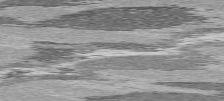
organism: C57BL Mouse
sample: Heart